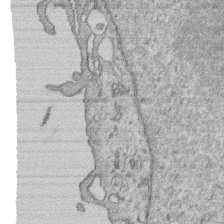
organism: Human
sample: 1205lu cells